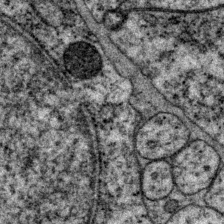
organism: P. pacificus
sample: Pharynx